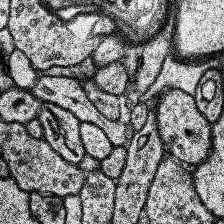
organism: Human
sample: Temporal Lobe